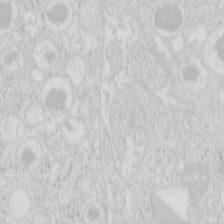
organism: Mouse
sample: Pancreas